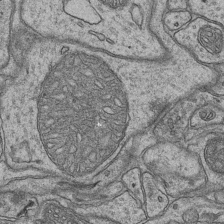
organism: Mouse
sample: CA1 Hippocampus